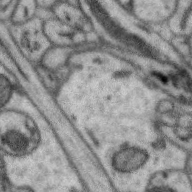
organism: Zebra finch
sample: Brain